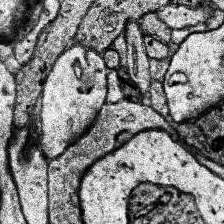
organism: Human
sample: Temporal Lobe